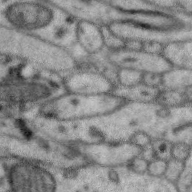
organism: Zebra finch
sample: Brain